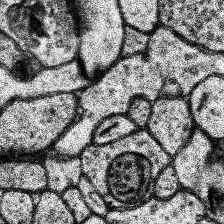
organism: Human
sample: Temporal Lobe